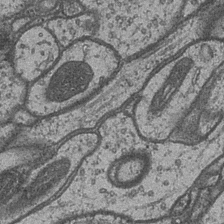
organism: Drosophila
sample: Optic medulla